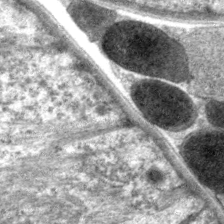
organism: C. elegans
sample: Pharynx